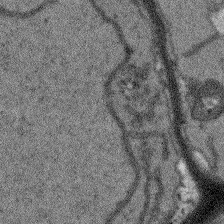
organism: Arabidopsis thaliana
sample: Root tip